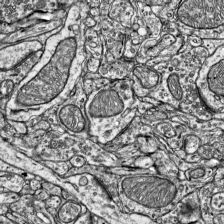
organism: Mouse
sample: Visual Cortex